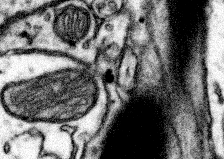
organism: Mouse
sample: Somatosensory cortex neuropil